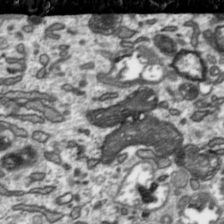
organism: Toxoplasma gondii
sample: Parasites in a vacuole inside a host cell